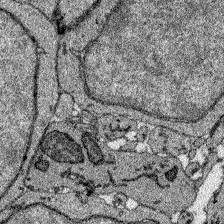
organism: Zebrafish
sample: Larval olfactory bulb